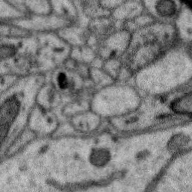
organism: Zebra finch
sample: Brain